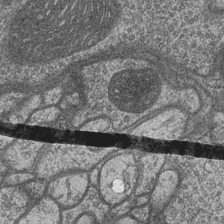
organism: Drosophila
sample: Optic medulla